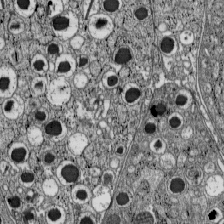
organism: C57BL Mouse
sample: Pancreatic islet